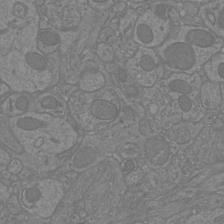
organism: Mouse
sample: Cortical neurons